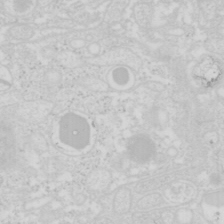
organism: Mouse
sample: Pancreas